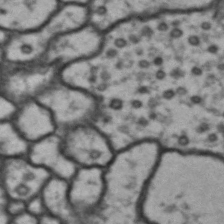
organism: Drosophila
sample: Brain